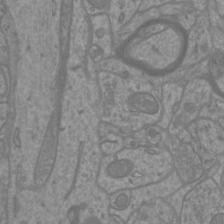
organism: Mouse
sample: Cortical neurons